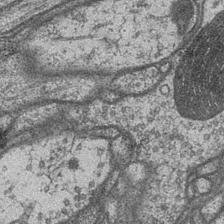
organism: Drosophila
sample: Optic medulla